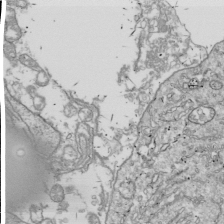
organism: Drosophila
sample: Cell division; meiosis; drosophila spermatocytes